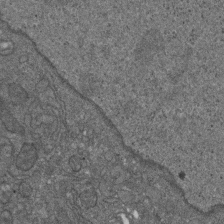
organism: Drosophila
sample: Nephrocyte